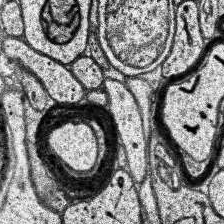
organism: Human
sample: Temporal Lobe